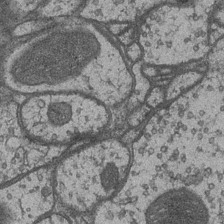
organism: Drosophila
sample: Optic medulla